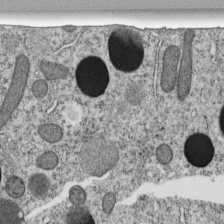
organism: C. elegans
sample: C. elegans embryo early stage